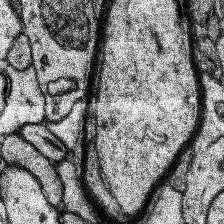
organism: Human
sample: Temporal Lobe